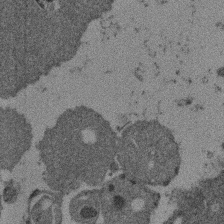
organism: Mouse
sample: Dividing mouse embryo 1 cell stage